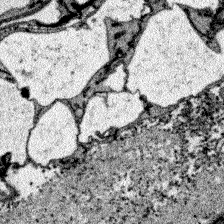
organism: Zebrafish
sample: Larval olfactory bulb